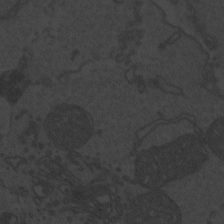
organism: Zebrafish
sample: Macrophage infected with Toxoplasma gondii